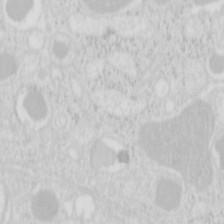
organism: Mouse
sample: Pancreas